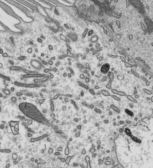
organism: Mouse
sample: Mouse epididymis efferent ductule cilia